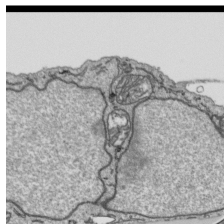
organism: Human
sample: Mitochondria in HCT116 cells